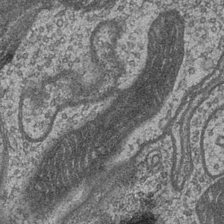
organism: Drosophila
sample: Optic medulla